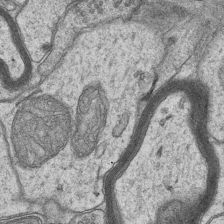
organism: Mouse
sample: CA1 Hippocampus